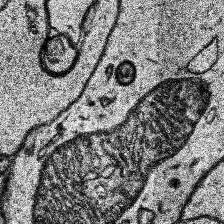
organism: Human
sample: Temporal Lobe